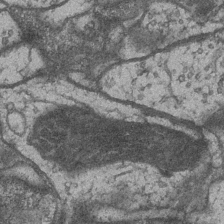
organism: Drosophila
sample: Optic medulla